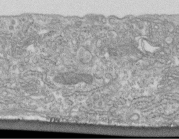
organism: Human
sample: Centriole in fibroblast cells